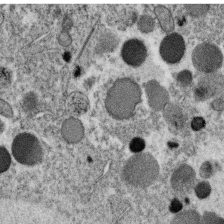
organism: C. elegans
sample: C. elegans oocyte; sperm cells